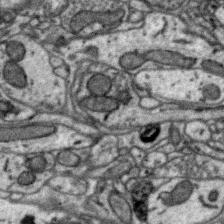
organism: Zebra finch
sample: Brain